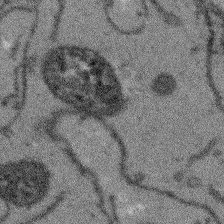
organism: Arabidopsis thaliana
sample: Root tip